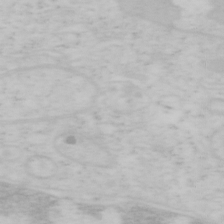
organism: Mouse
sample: OT-I killer T cells with ID8 ovarian cancer cells